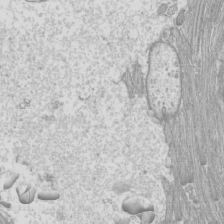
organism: Mouse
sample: Cilia; mouse epididymis